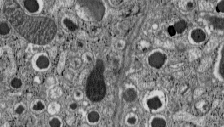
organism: C57BL Mouse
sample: Pancreatic islet